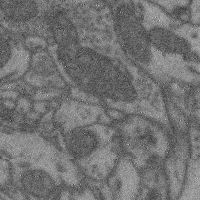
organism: Mouse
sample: Cerebral cortex